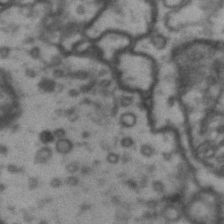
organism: Drosophila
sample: Brain